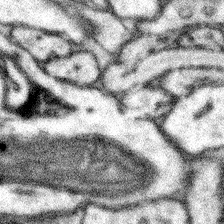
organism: Mouse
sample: Somatosensory cortex neuropil